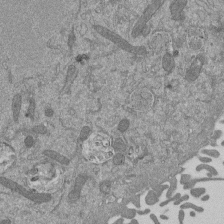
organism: Mouse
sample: ED-1 cell nuclei; centrioles